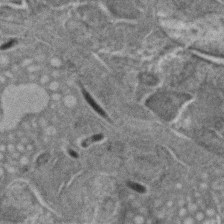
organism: C. elegans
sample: C. elegans embryo